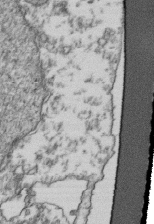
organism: Human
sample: Activated Jurkat CD4+ T cells